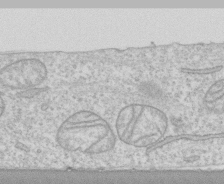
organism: Human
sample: CRL-1474